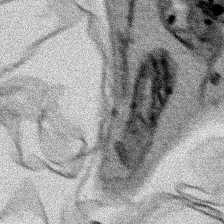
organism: Human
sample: Mitochondria in HCT116 cells